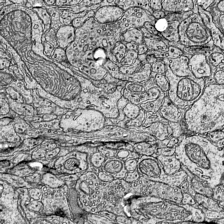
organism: Mouse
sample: Visual Cortex